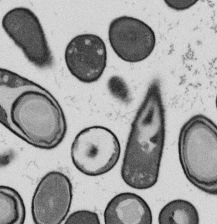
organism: B. subtilis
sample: Bacterial spore